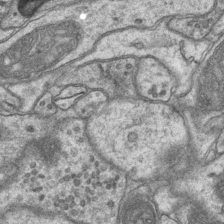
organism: Mouse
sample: CA1 Hippocampus